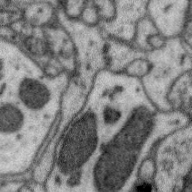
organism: Zebra finch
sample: Brain